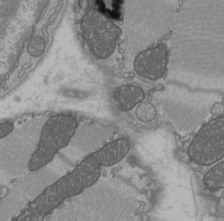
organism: C57BL Mouse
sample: Heart